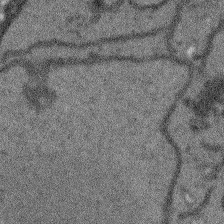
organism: Arabidopsis thaliana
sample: Root tip